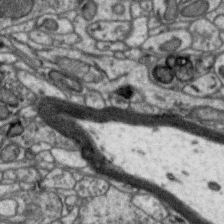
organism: Zebra finch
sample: Brain